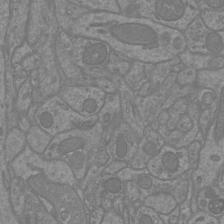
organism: Mouse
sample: Cortical neurons